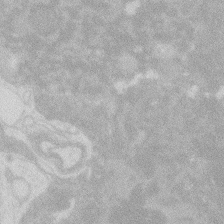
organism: Zebrafish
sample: Macrophage